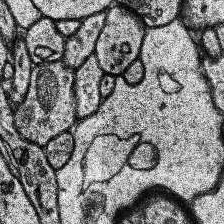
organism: Human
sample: Temporal Lobe